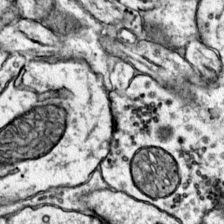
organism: Mouse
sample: Primary visual cortex